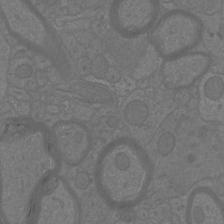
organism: Mouse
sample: Cortical neurons